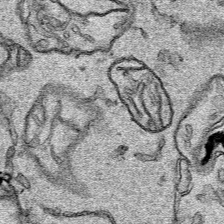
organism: Human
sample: Mitochondria in HCT116 cells